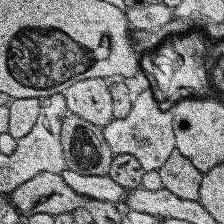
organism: Human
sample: Temporal Lobe